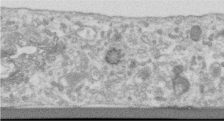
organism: Human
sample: Centriole in RPE cells